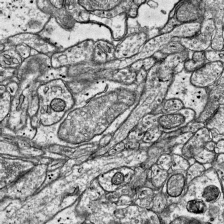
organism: Mouse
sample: Visual Cortex